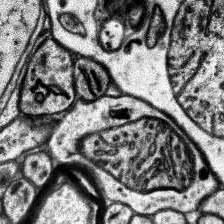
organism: Human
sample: Temporal Lobe